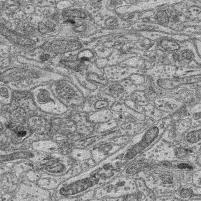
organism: Mouse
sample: Retina